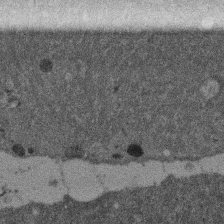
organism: Mouse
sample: Dividing mouse embryo 1 cell stage